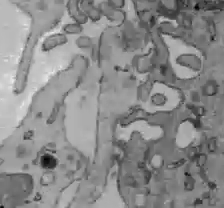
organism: C57BL Mouse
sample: Liver